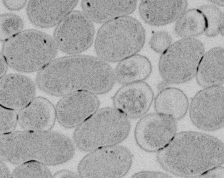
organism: E. coli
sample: Bacterial nucleoid